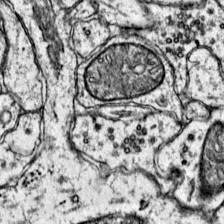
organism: Mouse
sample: Primary visual cortex